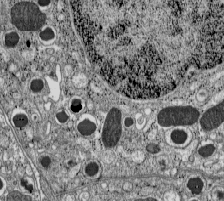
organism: C57BL Mouse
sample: Pancreatic islet